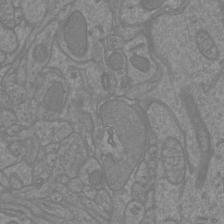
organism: Mouse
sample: Cortical neurons